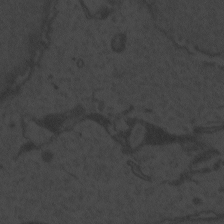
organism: Zebrafish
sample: Macrophage infected with Toxoplasma gondii